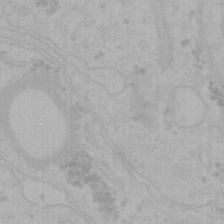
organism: Mouse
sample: Choroid plexus